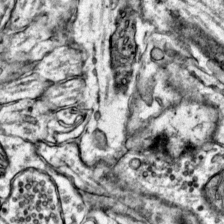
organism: Mouse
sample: Primary visual cortex